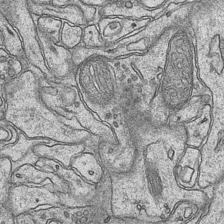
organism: Mouse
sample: CA1 Hippocampus